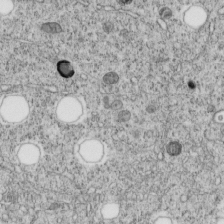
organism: C. elegans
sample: C. elegans embryo early stage